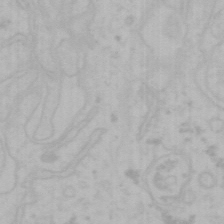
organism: Mouse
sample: Choroid plexus